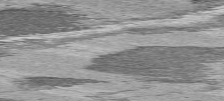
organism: C57BL Mouse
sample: Heart